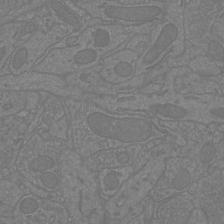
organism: Mouse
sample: Cortical neurons